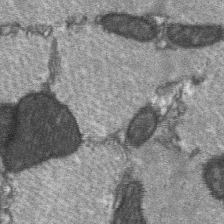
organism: C57BL Mouse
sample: Soleus